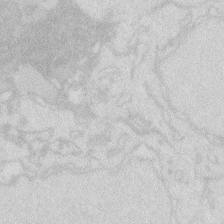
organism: Zebrafish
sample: Macrophage